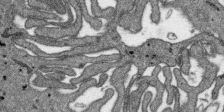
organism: Human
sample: Lung epithelial cells, uninfected (mock) control